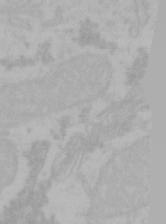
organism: Mouse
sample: Choroid plexus